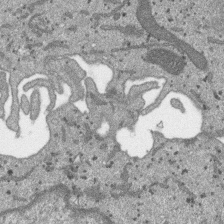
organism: Human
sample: Lung epithelial cells infected with SARS-CoV-2